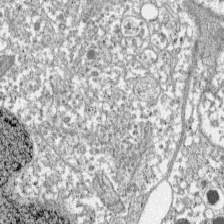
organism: C57BL Mouse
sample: Pancreatic islet